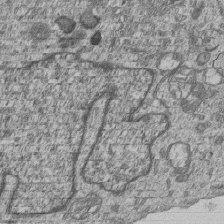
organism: Human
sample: MDA-MB-231 cells